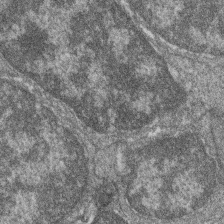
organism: Zebrafish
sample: Cilia; retinal pigment epithelium